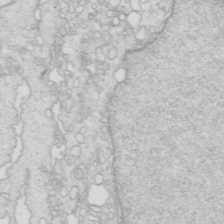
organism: Mouse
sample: Multiciliated cells